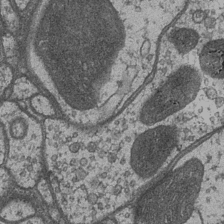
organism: Drosophila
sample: Optic medulla